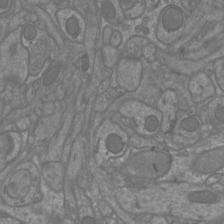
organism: Mouse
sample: Cortical neurons